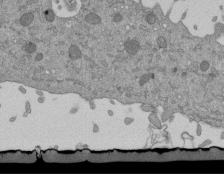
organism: Mouse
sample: ED-1 cell nuclei; centrioles